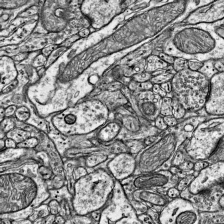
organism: Mouse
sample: Visual Cortex